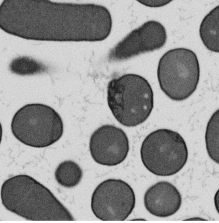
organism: B. subtilis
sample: Bacterial spore